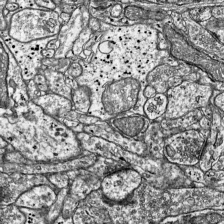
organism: Mouse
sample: Visual Cortex